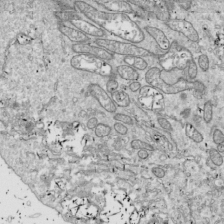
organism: Drosophila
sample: Cell division; meiosis; drosophila spermatocytes